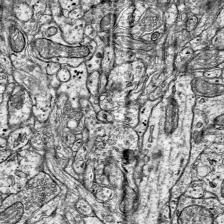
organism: Mouse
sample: Visual Cortex